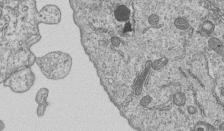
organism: Human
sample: MDA-MB-231 cells